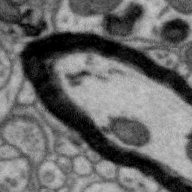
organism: Zebra finch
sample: Brain